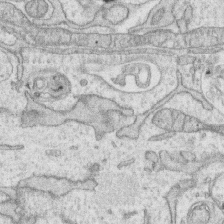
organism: Human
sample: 1205lu cells